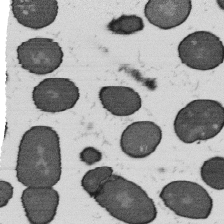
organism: B. subtilis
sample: Bacterial spore